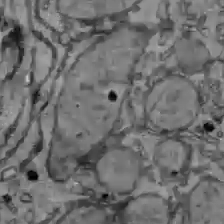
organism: C57BL Mouse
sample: Liver